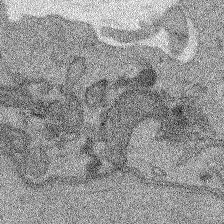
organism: Human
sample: HeLa cells